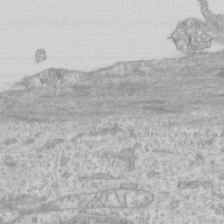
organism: Human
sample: CRL-1474